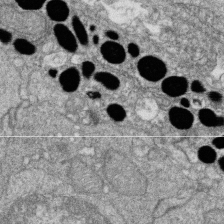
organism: Zebrafish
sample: Cilia; retinal pigment epithelium